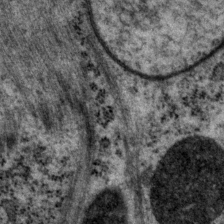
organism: P. pacificus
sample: Pharynx